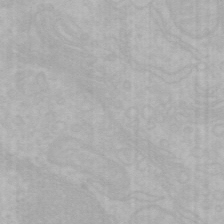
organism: Mouse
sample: Choroid plexus